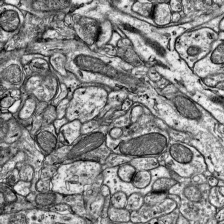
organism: Mouse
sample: Visual Cortex